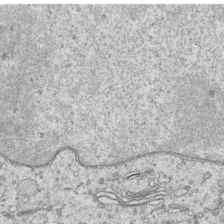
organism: Human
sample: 1205lu cells